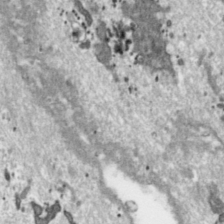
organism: Toxoplasma gondii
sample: Parasites in a vacuole inside a host cell